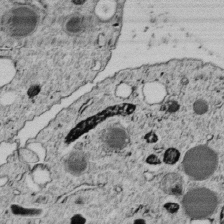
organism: C. elegans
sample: C. elegans embryo early stage